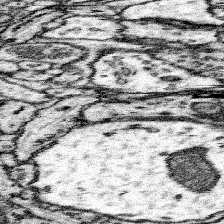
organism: Mouse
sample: Somatosensory cortex neuropil